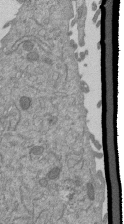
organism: Mouse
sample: ED-1 cell nuclei; centrioles